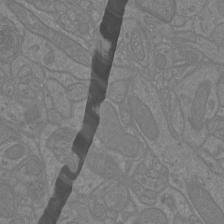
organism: Mouse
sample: Cortical neurons